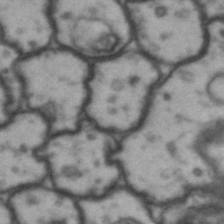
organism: Drosophila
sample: Brain